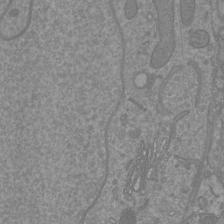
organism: Mouse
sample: Cortical neurons